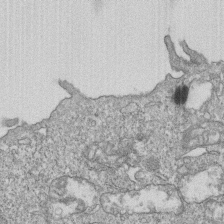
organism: Human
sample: HeLa cell HIV synapse